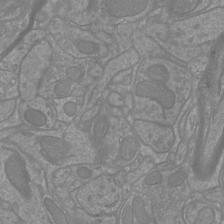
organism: Mouse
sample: Cortical neurons